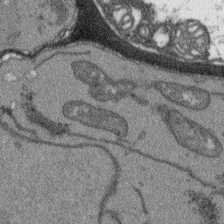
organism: Arabidopsis thaliana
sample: Root tip